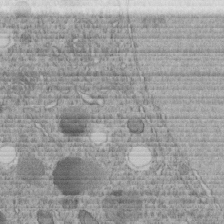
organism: C. elegans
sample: C. elegans embryo early stage